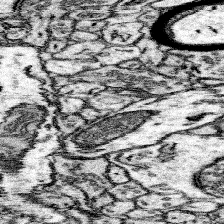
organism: Mouse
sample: Somatosensory cortex neuropil